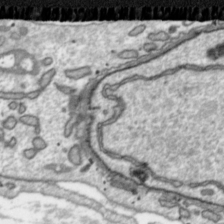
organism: Toxoplasma gondii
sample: Parasites in a vacuole inside a host cell